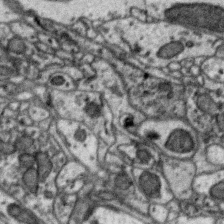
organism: Zebra finch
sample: Brain